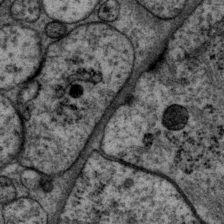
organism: P. pacificus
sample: Pharynx